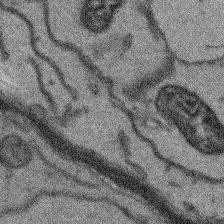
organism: Arabidopsis thaliana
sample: Root tip